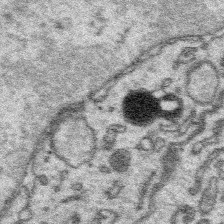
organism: Platynereis dumerilii